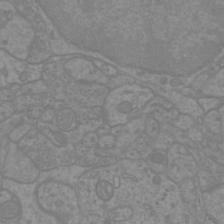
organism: Mouse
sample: Cortical neurons